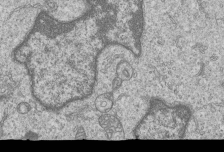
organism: Human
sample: MDA-MB-231 cells